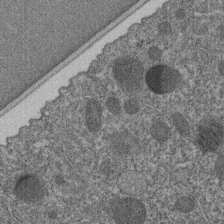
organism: C. elegans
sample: C. elegans embryo early stage